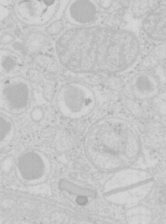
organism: Mouse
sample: Pancreas